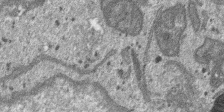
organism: Human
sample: Lung epithelial cells infected with SARS-CoV-2